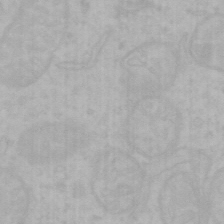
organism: Mouse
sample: Choroid plexus